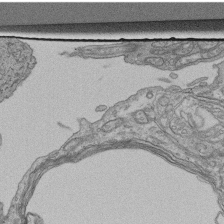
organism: Human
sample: Retinal organoid Rod and Cone cells